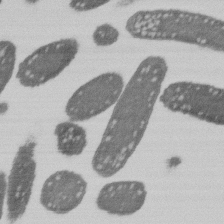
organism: E. coli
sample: Bacterial nucleoid